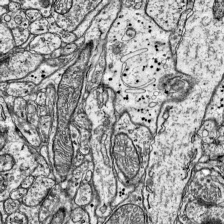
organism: Mouse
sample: Visual Cortex